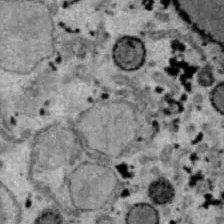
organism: Mouse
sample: Liver from an obese (ob/ob) mouse